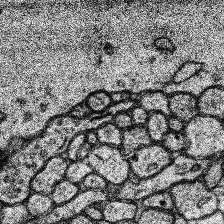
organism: Human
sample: Temporal Lobe